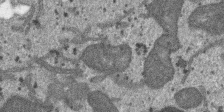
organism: Human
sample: Lung epithelial cells infected with SARS-CoV-2